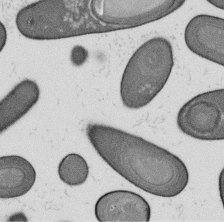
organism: B. subtilis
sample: Bacterial spore